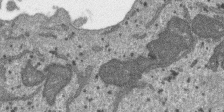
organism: Human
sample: Lung epithelial cells infected with SARS-CoV-2